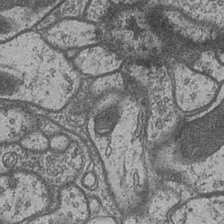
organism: Drosophila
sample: Optic medulla